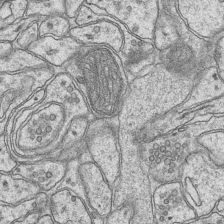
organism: Mouse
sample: CA1 Hippocampus